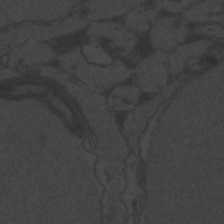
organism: Zebrafish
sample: Macrophage infected with Toxoplasma gondii